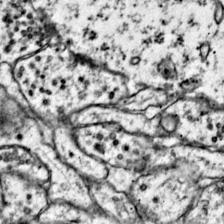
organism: Mouse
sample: Primary visual cortex